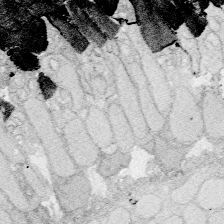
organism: Zebrafish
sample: Whole-Brain